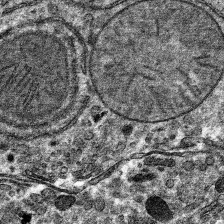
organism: Mouse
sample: Mouse hepatocytes